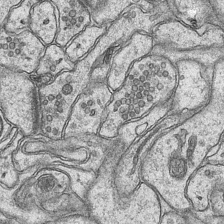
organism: Mouse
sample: CA1 Hippocampus